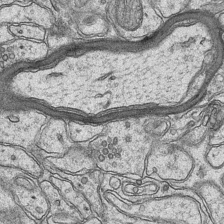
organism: Mouse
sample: CA1 Hippocampus